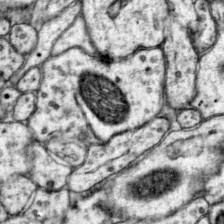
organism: Mouse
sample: Primary visual cortex